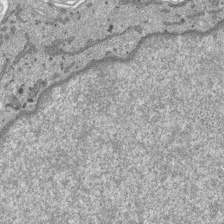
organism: Human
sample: Lung epithelial cells infected with SARS-CoV-2